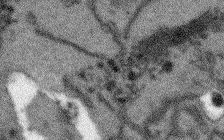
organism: Arabidopsis thaliana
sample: Root tip